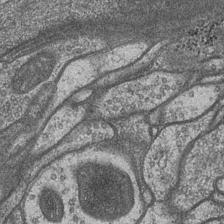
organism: Drosophila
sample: Optic medulla